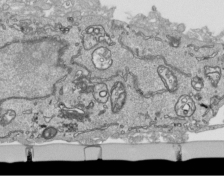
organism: Human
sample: Mitochondria in HCT116 cells